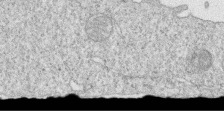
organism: Human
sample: HeLa cell HIV synapse